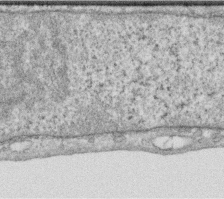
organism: Human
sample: Centriole in RPE cells